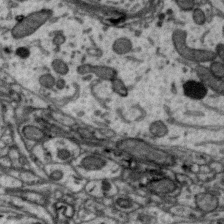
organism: Zebra finch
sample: Brain